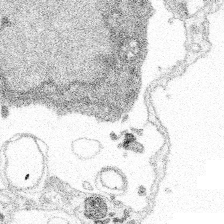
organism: Spongilla lacustris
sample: Multiple